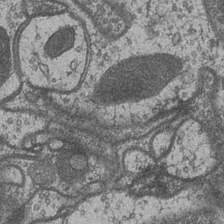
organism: Drosophila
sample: Optic medulla